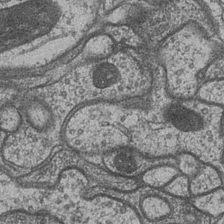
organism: Drosophila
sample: Optic medulla